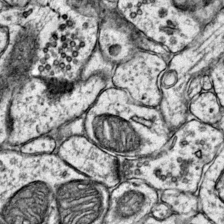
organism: Mouse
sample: Primary visual cortex